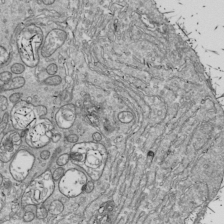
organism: Drosophila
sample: Cell division; meiosis; drosophila spermatocytes